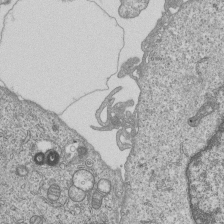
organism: Human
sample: MDA-MB-231 cells